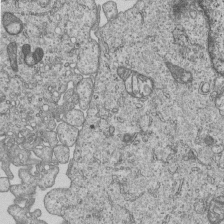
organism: Human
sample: MDA-MB-231 cells